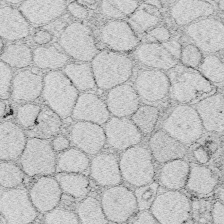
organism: Zebrafish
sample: Whole-Brain